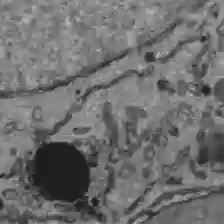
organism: C57BL Mouse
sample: Liver